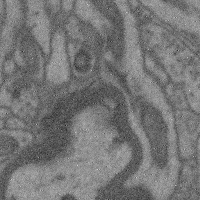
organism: Mouse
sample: Cerebral cortex